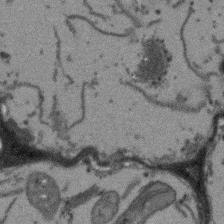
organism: Arabidopsis thaliana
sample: Root tip